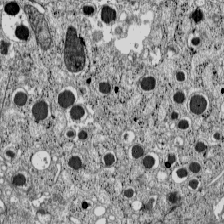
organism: C57BL Mouse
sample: Pancreatic islet